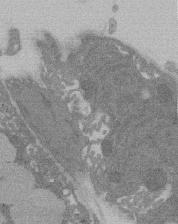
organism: Rat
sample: Salivary granule